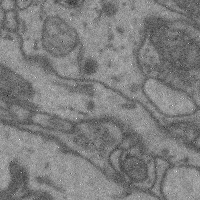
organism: Mouse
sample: Cerebral cortex